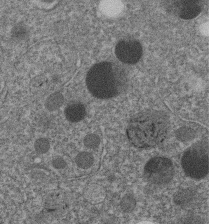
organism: C. elegans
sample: C. elegans embryo early stage